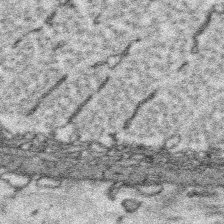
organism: Platynereis dumerilii